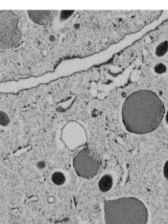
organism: C. elegans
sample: C. elegans embryo early stage